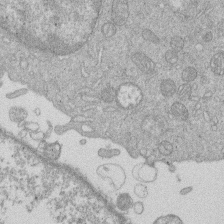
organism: Human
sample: Macrophage cells